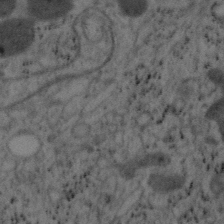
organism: Human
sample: HeLa cells